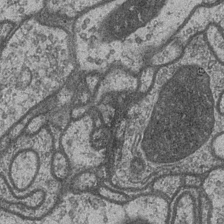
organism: Drosophila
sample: Optic medulla